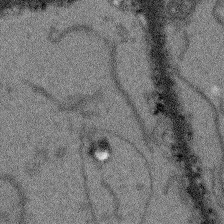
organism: Arabidopsis thaliana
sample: Root tip